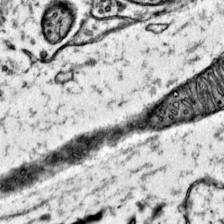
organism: Mouse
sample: Primary visual cortex